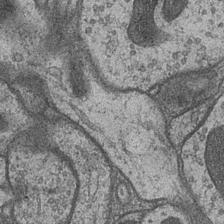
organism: Drosophila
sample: Optic medulla